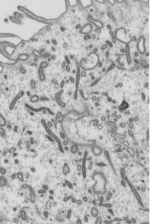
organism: Mouse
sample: Mouse epididymis efferent ductule cilia